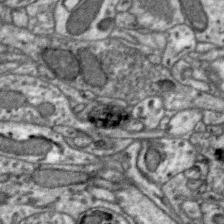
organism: Zebra finch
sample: Brain